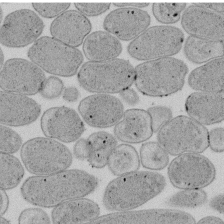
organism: E. coli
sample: Bacterial nucleoid